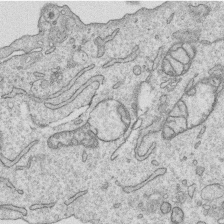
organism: Human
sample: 1205lu cells